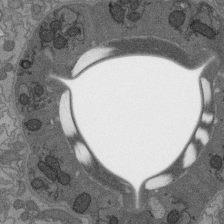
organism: C. elegans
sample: AFD neurons C. elegans